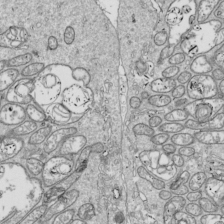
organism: Drosophila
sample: Cell division; meiosis; drosophila spermatocytes